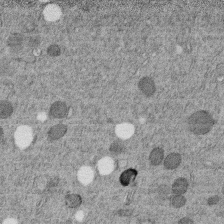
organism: C. elegans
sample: C. elegans embryo early stage